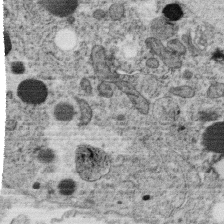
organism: C. elegans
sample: C. elegans oocyte; sperm cells